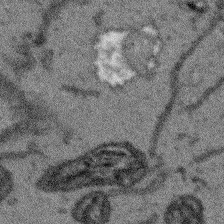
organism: Arabidopsis thaliana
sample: Root tip